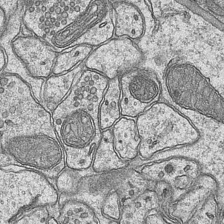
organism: Mouse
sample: CA1 Hippocampus